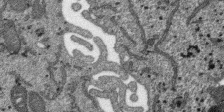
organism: Human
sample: Lung epithelial cells infected with SARS-CoV-2